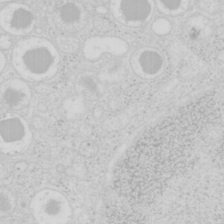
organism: Mouse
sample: Pancreas